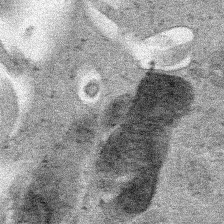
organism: Human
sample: Mitochondria in HCT116 cells